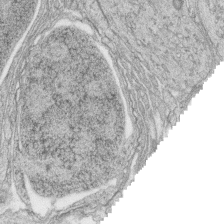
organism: Zebrafish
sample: synaptic ribbons in rod cells and cone cells